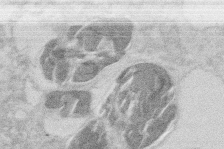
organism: Mouse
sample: T cell stromal cell synapse